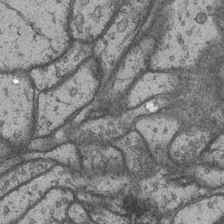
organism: Drosophila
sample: Optic medulla